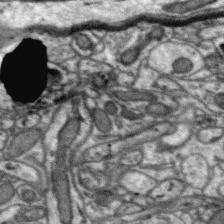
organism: Zebra finch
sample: Brain